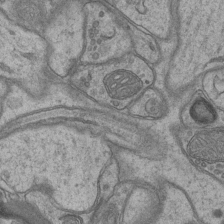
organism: Mouse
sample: CA1 Hippocampus